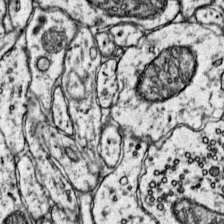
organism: Mouse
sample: Primary visual cortex